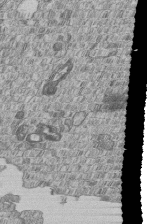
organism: Human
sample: MDA-MB-231 cells